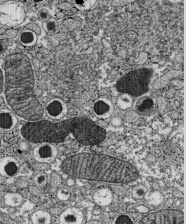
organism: C57BL Mouse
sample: Pancreatic islet